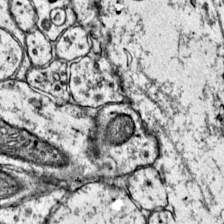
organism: Mouse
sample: Primary visual cortex